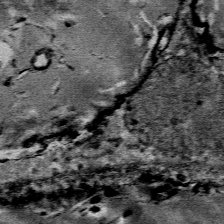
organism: Mouse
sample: Mouse Salivary gland